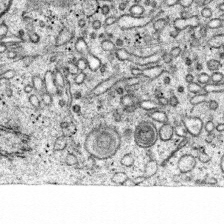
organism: Human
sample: HeLa cells